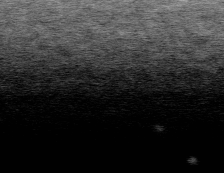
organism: Human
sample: HeLa cells